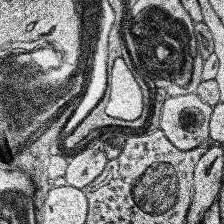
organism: Human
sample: Temporal Lobe